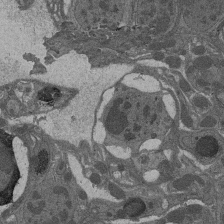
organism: Drosophila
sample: Antenna